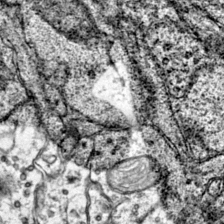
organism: Mouse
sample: Primary visual cortex